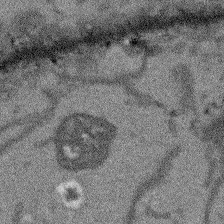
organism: Arabidopsis thaliana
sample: Root tip